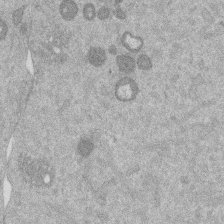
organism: Mouse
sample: Dividing mouse embryo 1 cell stage